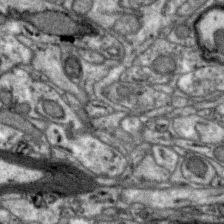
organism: Zebra finch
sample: Brain